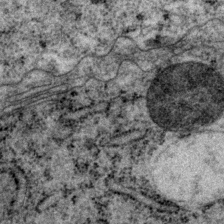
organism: P. pacificus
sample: Pharynx